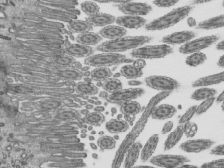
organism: Mouse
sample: Mouse epididymis efferent ductule cilia